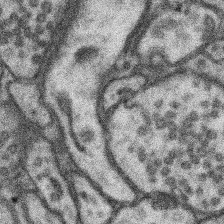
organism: Mouse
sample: Somatosensory cortex neuropil